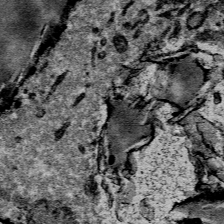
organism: Mouse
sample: Mouse Salivary gland